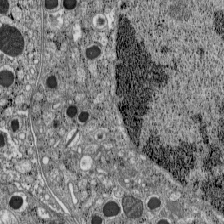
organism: C57BL Mouse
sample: Pancreatic islet